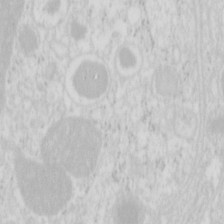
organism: Mouse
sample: Pancreas